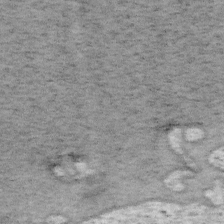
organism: Mouse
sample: OT-I killer T cells with ID8 ovarian cancer cells